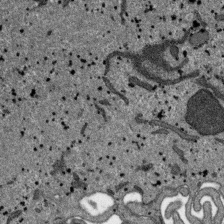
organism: Human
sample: Lung epithelial cells, uninfected (mock) control